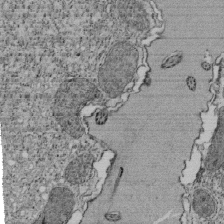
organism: Tetrahymena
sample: Cilia in tetrahymena